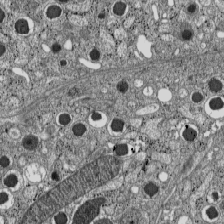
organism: C57BL Mouse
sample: Pancreatic islet